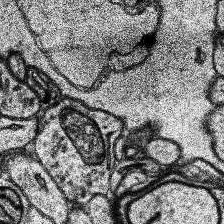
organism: Human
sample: Temporal Lobe